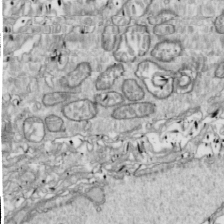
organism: Drosophila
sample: Cell division; meiosis; drosophila spermatocytes